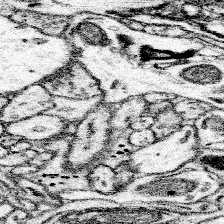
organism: Mouse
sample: Somatosensory cortex neuropil